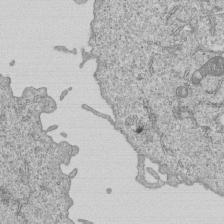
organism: Human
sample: MDA-MB-231 cells